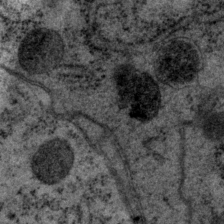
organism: P. pacificus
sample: Pharynx